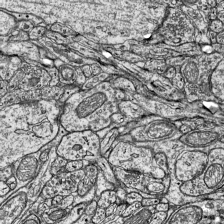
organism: Mouse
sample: Visual Cortex